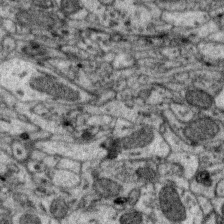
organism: Zebra finch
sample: Brain